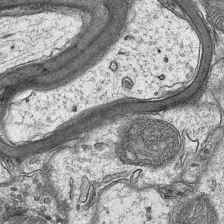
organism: Mouse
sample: CA1 Hippocampus